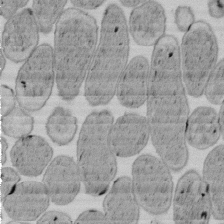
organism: E. coli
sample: Bacterial nucleoid